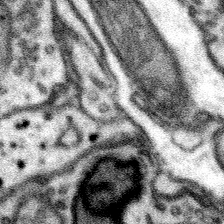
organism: Mouse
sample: Somatosensory cortex neuropil